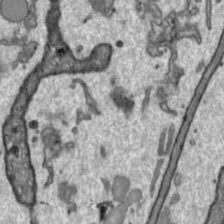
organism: Toxoplasma gondii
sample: Parasites in a vacuole inside a host cell